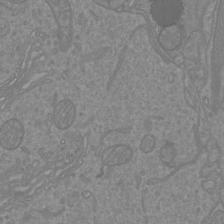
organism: Mouse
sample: Cortical neurons